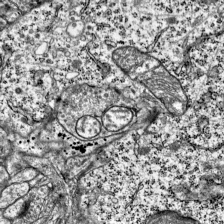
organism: Mouse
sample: Visual Cortex